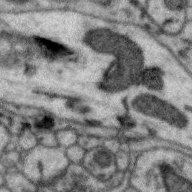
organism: Zebra finch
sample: Brain